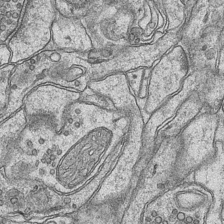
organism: Mouse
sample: CA1 Hippocampus